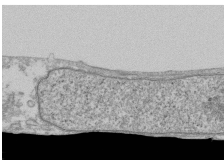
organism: Human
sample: Fibroblast cells